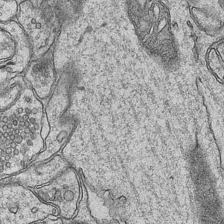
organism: Mouse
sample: CA1 Hippocampus